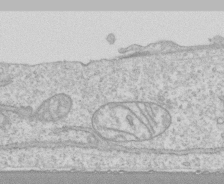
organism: Human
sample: CRL-1474